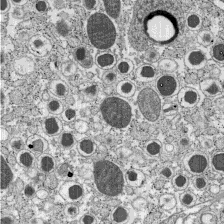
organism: C57BL Mouse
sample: Pancreatic islet